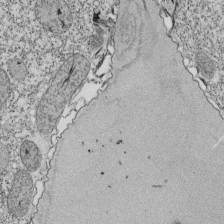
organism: Tetrahymena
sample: Cilia in tetrahymena